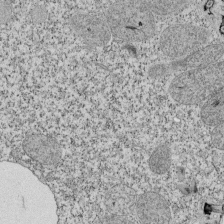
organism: Tetrahymena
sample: Cilia in tetrahymena